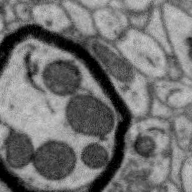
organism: Zebra finch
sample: Brain